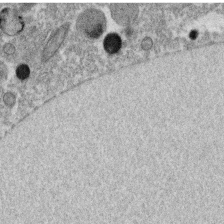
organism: C. elegans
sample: C. elegans oocyte; sperm cells